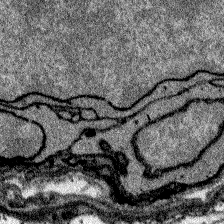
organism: Zebrafish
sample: Larval olfactory bulb